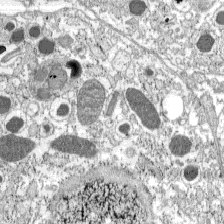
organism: C57BL Mouse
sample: Pancreatic islet